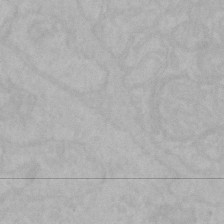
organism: Mouse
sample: Choroid plexus